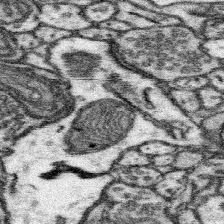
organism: Mouse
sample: Somatosensory cortex neuropil